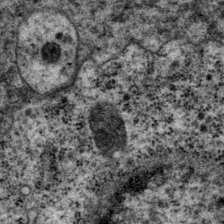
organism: P. pacificus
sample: Pharynx